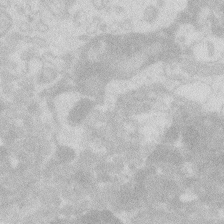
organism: Zebrafish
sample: Macrophage